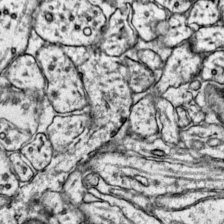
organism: Mouse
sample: Primary visual cortex